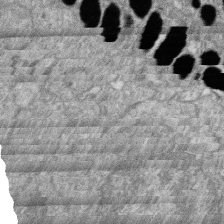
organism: Zebrafish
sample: Cilia; retinal pigment epithelium